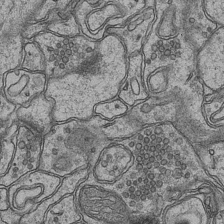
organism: Mouse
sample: CA1 Hippocampus